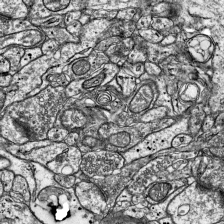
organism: Mouse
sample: Visual Cortex